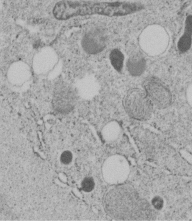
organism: C. elegans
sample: C. elegans embryo early stage